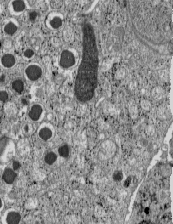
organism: C57BL Mouse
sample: Pancreatic islet